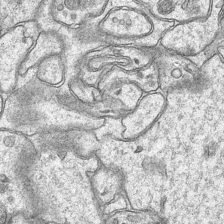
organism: Mouse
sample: CA1 Hippocampus